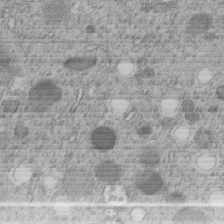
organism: C. elegans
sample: C. elegans embryo early stage